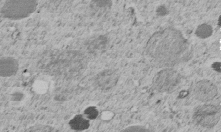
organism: C. elegans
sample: C. elegans embryo early stage